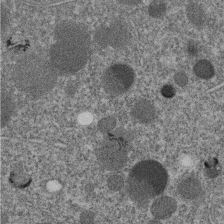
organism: C. elegans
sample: C. elegans embryo early stage